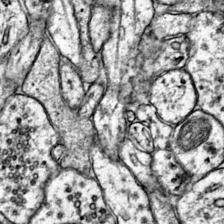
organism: Mouse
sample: Primary visual cortex